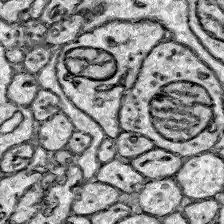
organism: Zebrafish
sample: Brain